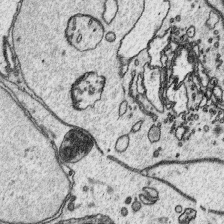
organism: Platynereis dumerilii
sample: Parapodia